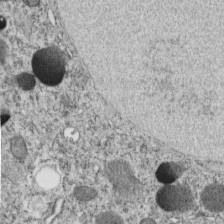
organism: C. elegans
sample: C. elegans embryo early stage